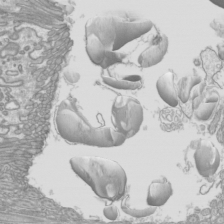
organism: Mouse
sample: Cilia; mouse epididymis